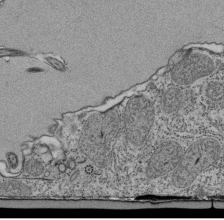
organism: Tetrahymena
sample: Cilia in tetrahymena